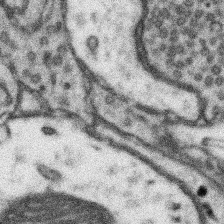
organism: Mouse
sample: Somatosensory cortex neuropil